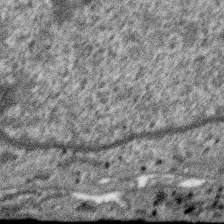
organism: Human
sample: Lung epithelial cells infected with SARS-CoV-2